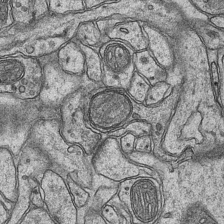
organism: Mouse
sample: CA1 Hippocampus